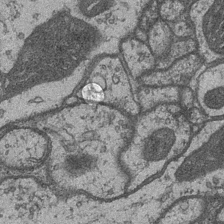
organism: Drosophila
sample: Optic medulla